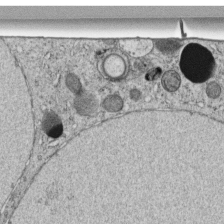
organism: C. elegans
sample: C. elegans embryo early stage